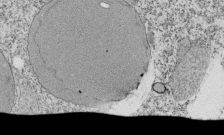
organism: Tetrahymena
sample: Cilia in tetrahymena